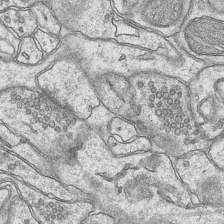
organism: Mouse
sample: CA1 Hippocampus